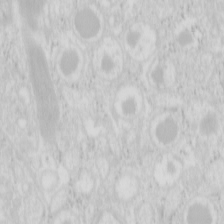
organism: Mouse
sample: Pancreas